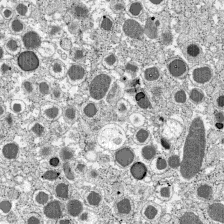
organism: C57BL Mouse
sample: Pancreatic islet